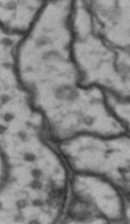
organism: Drosophila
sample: Brain